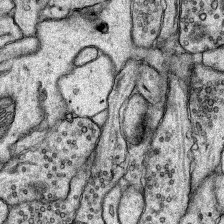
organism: Rat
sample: Hippocampus